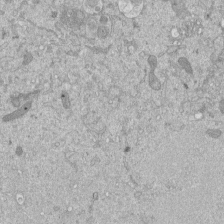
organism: Mouse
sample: ED-1 cell nuclei; centrioles